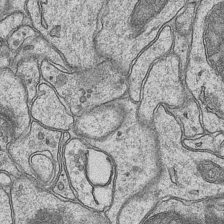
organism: Mouse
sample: CA1 Hippocampus